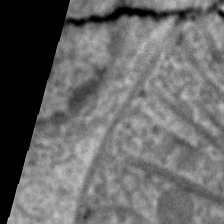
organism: C. elegans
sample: Pharynx